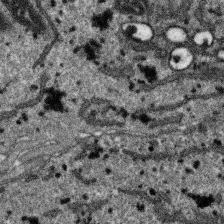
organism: Human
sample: Lung epithelial cells infected with SARS-CoV-2